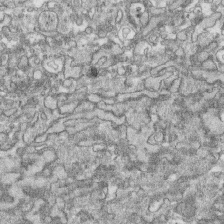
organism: Human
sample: CRL-1474